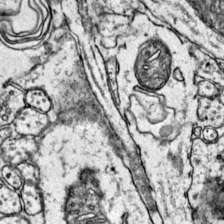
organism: Mouse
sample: Primary visual cortex